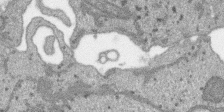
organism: Human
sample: Lung epithelial cells infected with SARS-CoV-2